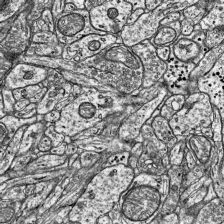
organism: Mouse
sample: Visual Cortex